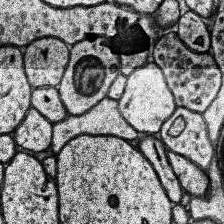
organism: Human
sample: Temporal Lobe